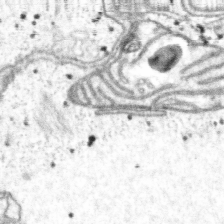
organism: Human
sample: HeLa cells